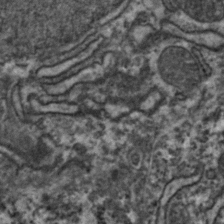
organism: Zebrafish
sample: Zebrafish embryo